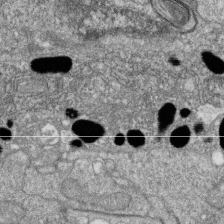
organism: Zebrafish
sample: Cilia; retinal pigment epithelium